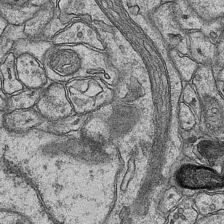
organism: Mouse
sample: CA1 Hippocampus